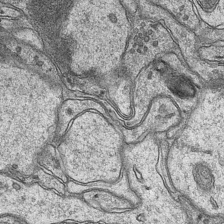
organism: Mouse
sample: CA1 Hippocampus